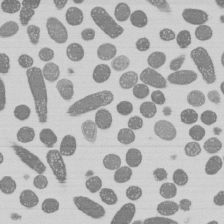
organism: E. coli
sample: Bacterial nucleoid